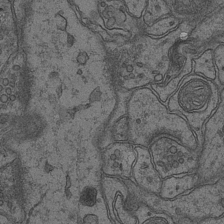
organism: Mouse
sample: CA1 Hippocampus